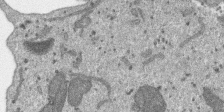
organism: Human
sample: Lung epithelial cells infected with SARS-CoV-2